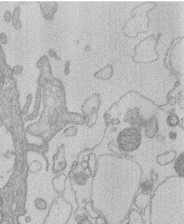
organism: Human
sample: Macrophage cells